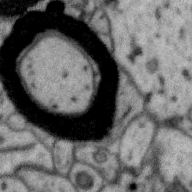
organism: Zebra finch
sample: Brain